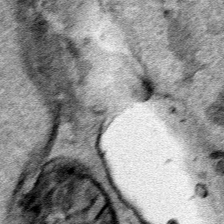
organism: Human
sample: Mitochondria in HCT116 cells